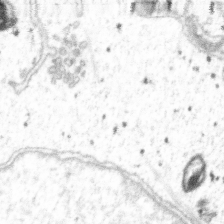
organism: Human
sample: HeLa cells